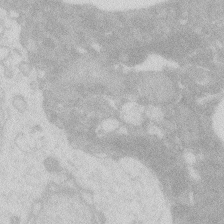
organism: Zebrafish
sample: Macrophage